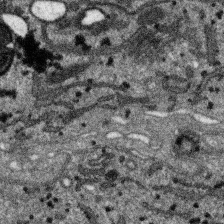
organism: Human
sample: Lung epithelial cells infected with SARS-CoV-2